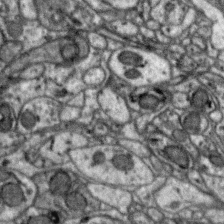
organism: Zebra finch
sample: Brain